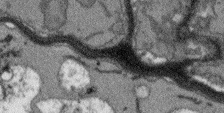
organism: Arabidopsis thaliana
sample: Root tip